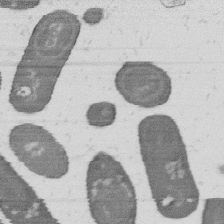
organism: B. subtilis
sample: Bacterial spore